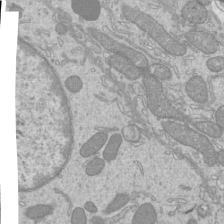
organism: Mouse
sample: Cilia; mouse epididymis